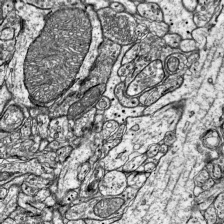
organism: Mouse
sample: Visual Cortex